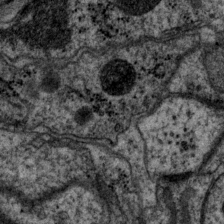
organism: P. pacificus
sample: Pharynx